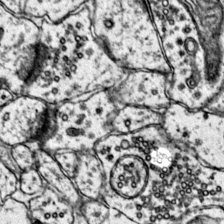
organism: Mouse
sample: Primary visual cortex